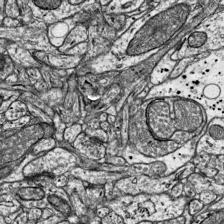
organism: Mouse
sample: Visual Cortex